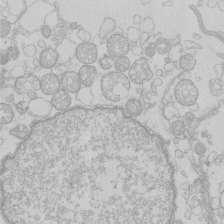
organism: Human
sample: Macrophage cells